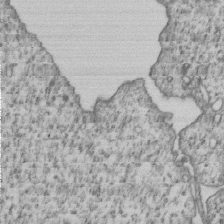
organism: Human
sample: MDA-MB-231 cells